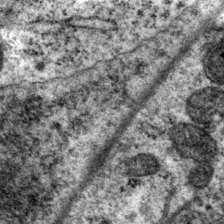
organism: P. pacificus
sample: Pharynx